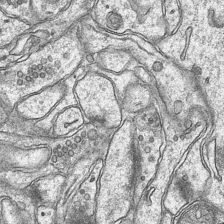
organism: Mouse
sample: CA1 Hippocampus